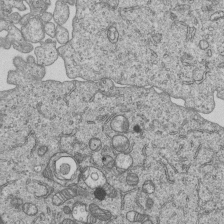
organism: Human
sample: MDA-MB-231 cells